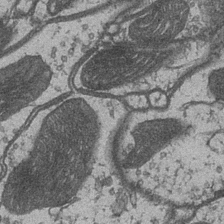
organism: Drosophila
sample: Optic medulla